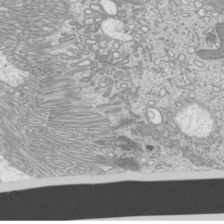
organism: Mouse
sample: Cilia; mouse epididymis